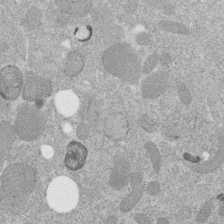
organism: C. elegans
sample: C. elegans embryo early stage